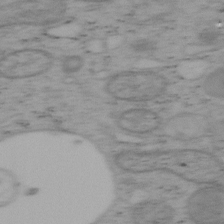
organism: Mouse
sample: OT-I killer T cells with ID8 ovarian cancer cells